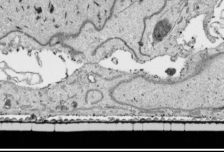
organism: Human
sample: Mitochondria in HCT116 cells